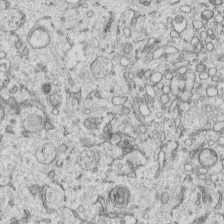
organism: Human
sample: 1205lu cells